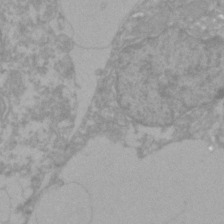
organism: Zebrafish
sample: Zebrafish embryo